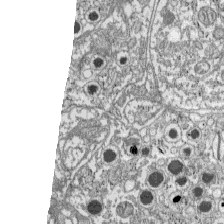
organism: C57BL Mouse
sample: Pancreatic islet